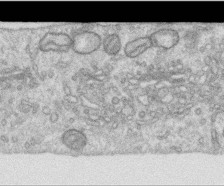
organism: Human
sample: Centriole in RPE cells